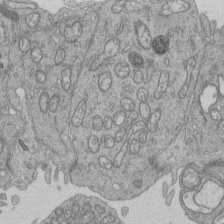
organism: Human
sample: Retinal organoid Rod and Cone cells